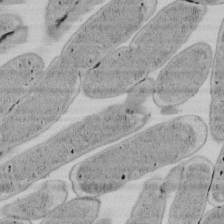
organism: E. coli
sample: Bacterial nucleoid